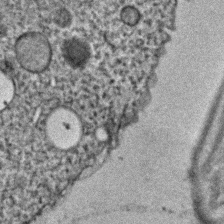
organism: C. elegans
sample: C. elegans embryo